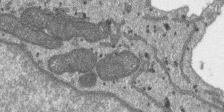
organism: Human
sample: Lung epithelial cells infected with SARS-CoV-2